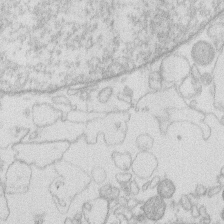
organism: Human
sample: Macrophage cells